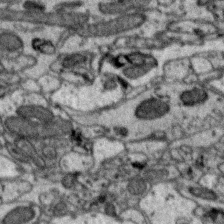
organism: Zebra finch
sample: Brain